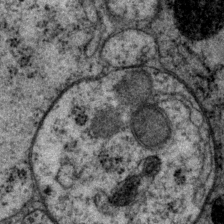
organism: P. pacificus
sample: Pharynx